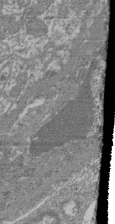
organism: Mouse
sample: Glomerulus